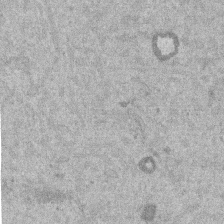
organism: Mouse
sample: Dividing mouse embryo 1 cell stage